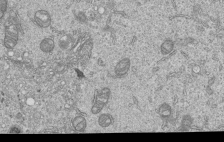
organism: Human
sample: MDA-MB-231 cells